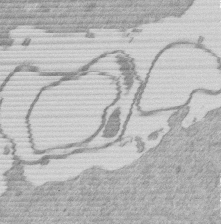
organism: Mouse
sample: Dividing mouse embryo 1 cell stage